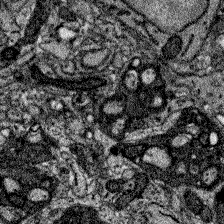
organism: Zebrafish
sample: Larval olfactory bulb